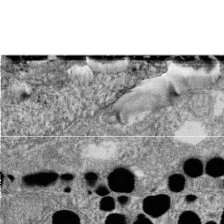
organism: Zebrafish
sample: Cilia; retinal pigment epithelium